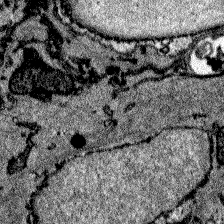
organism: Zebrafish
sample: Larval olfactory bulb